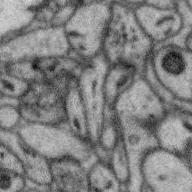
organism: Zebra finch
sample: Brain